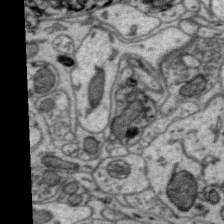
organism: Zebra finch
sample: Brain